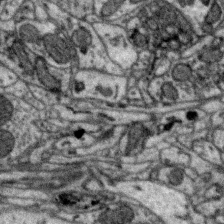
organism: Zebra finch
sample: Brain